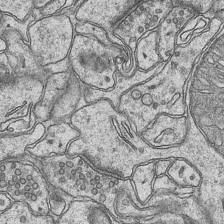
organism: Mouse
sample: CA1 Hippocampus